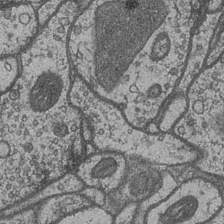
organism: Drosophila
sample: Optic medulla